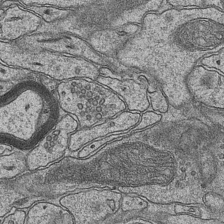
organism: Mouse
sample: CA1 Hippocampus